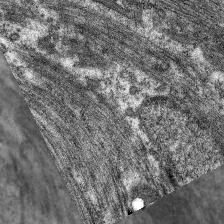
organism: C. elegans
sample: Pharynx